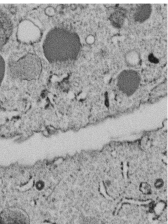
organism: C. elegans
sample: C. elegans embryo early stage